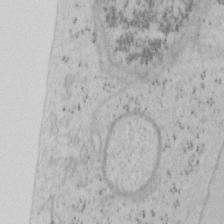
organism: Human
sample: HeLa cells